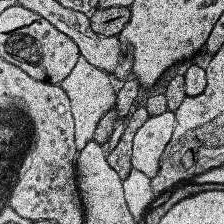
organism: Human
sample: Temporal Lobe